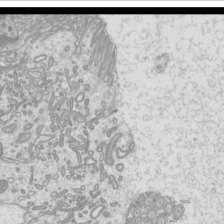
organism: Mouse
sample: Cilia; mouse epididymis